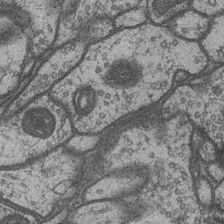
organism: Drosophila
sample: Optic medulla